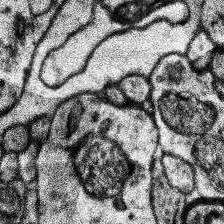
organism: Human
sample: Temporal Lobe